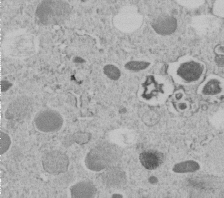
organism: C. elegans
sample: C. elegans embryo early stage